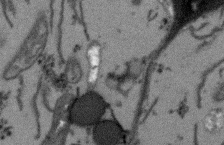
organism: Arabidopsis thaliana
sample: Root tip